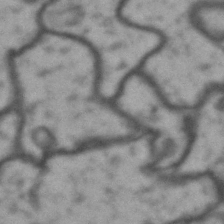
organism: Drosophila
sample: Brain